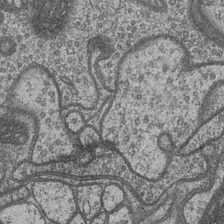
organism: Drosophila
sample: Optic medulla